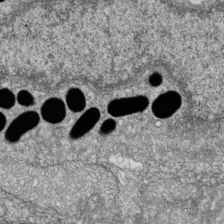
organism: Zebrafish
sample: Cilia; retinal pigment epithelium